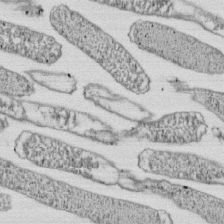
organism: E. coli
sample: Bacterial nucleoid